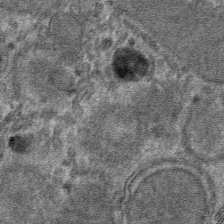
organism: Mouse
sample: Mouse hepatocytes